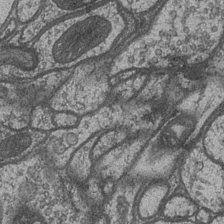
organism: Drosophila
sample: Optic medulla